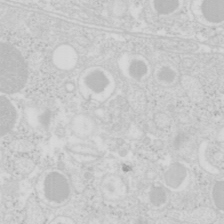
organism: Mouse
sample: Pancreas